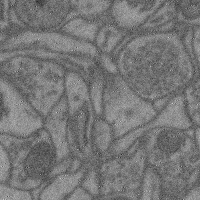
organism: Mouse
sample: Cerebral cortex